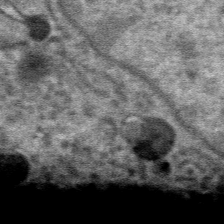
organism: Mouse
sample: Mouse hepatocytes